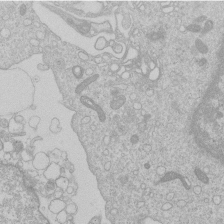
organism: Human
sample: Macrophage cells